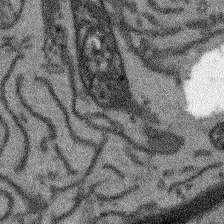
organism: Arabidopsis thaliana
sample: Root tip